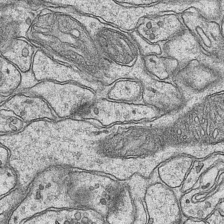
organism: Mouse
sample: CA1 Hippocampus